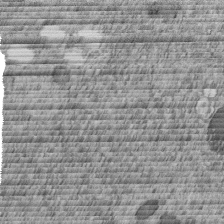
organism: C. elegans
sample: C. elegans embryo early stage